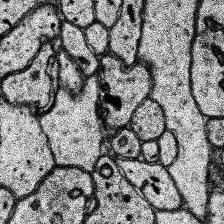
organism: Human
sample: Temporal Lobe